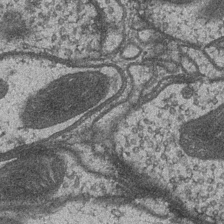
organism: Drosophila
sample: Optic medulla